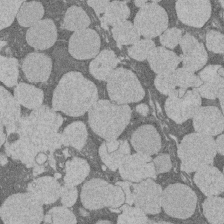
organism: Rat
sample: Salivary granule